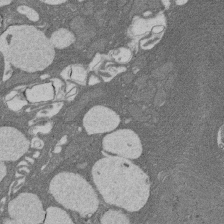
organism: Rat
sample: Salivary granule